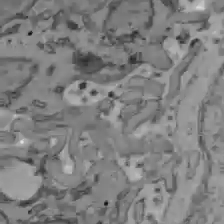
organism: C57BL Mouse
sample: Liver